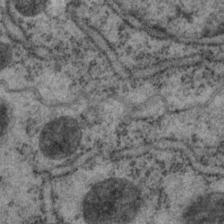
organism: P. pacificus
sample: Pharynx